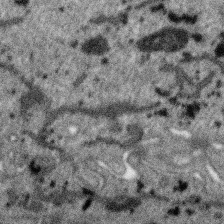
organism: Human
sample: Lung epithelial cells infected with SARS-CoV-2